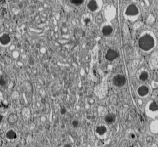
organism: C57BL Mouse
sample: Pancreatic islet